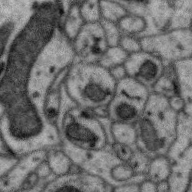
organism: Zebra finch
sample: Brain